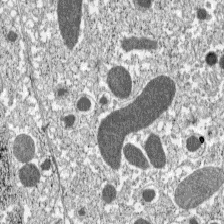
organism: C57BL Mouse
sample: Pancreatic islet